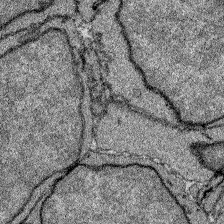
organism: Zebrafish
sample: Larval olfactory bulb